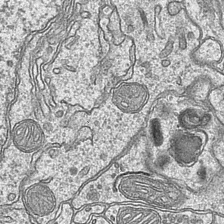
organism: Mouse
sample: CA1 Hippocampus